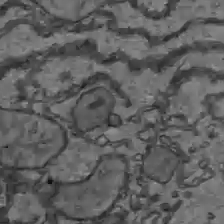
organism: C57BL Mouse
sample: Liver